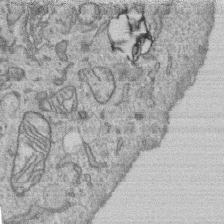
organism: Human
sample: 1205lu cells